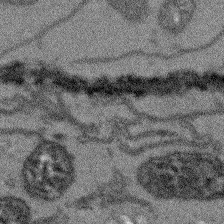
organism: Arabidopsis thaliana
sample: Root tip